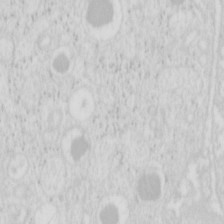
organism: Mouse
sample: Pancreas